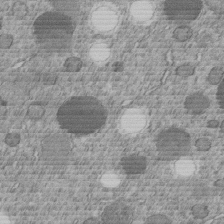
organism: C. elegans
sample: C. elegans embryo early stage